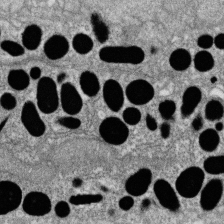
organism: Zebrafish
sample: Cilia; retinal pigment epithelium